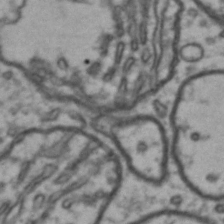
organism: Drosophila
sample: Brain